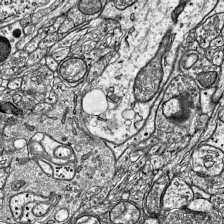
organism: Mouse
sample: Visual Cortex